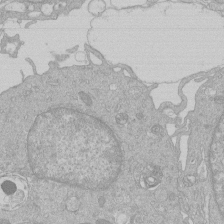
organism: Human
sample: Macrophage cells